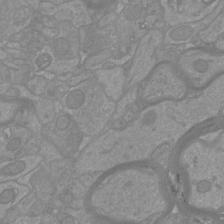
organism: Mouse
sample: Cortical neurons